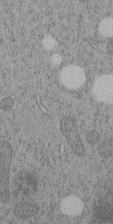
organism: C. elegans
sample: C. elegans embryo early stage